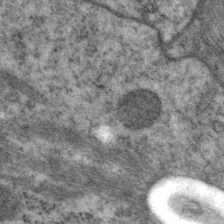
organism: P. pacificus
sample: Pharynx